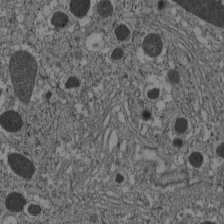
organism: C57BL Mouse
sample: Pancreatic islet